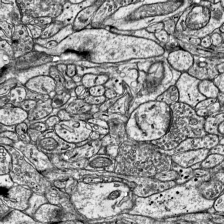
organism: Mouse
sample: Visual Cortex